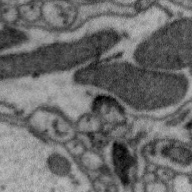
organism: Zebra finch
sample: Brain